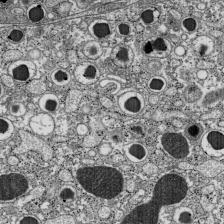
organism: C57BL Mouse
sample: Pancreatic islet